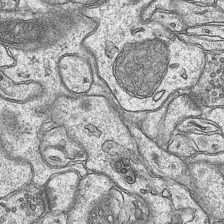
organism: Mouse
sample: CA1 Hippocampus